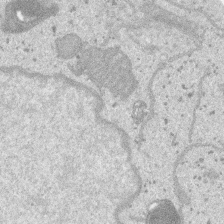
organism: Human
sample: Lung epithelial cells infected with SARS-CoV-2